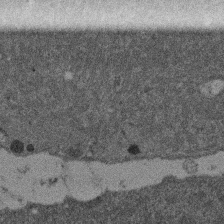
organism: Mouse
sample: Dividing mouse embryo 1 cell stage